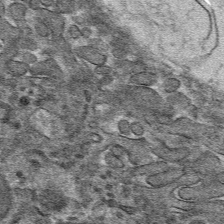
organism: Mouse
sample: Mouse hepatocytes